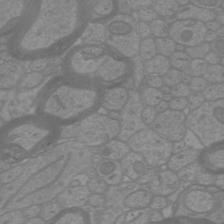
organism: Mouse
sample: Cortical neurons